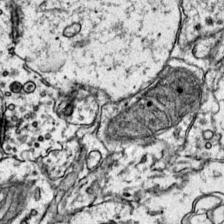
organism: Mouse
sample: Primary visual cortex